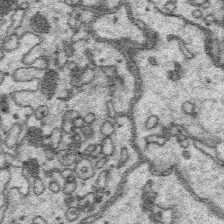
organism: Platynereis dumerilii